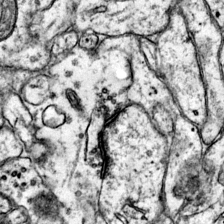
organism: Mouse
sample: Primary visual cortex